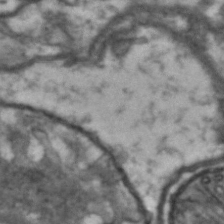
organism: Drosophila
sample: Brain